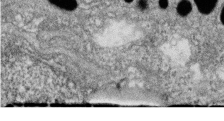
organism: Zebrafish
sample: Cilia; retinal pigment epithelium